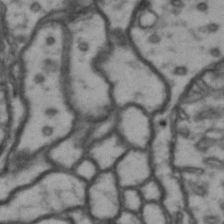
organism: Drosophila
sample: Brain